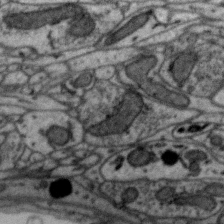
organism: Zebra finch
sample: Brain